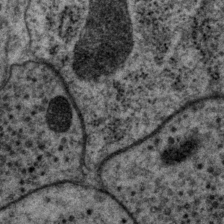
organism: P. pacificus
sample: Pharynx